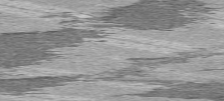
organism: C57BL Mouse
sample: Heart